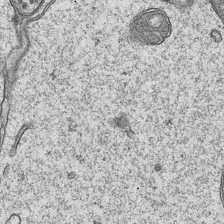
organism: Mouse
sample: CA1 Hippocampus